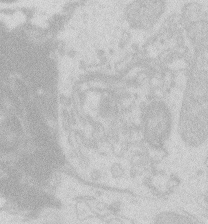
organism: Zebrafish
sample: Macrophage